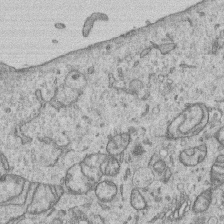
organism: Human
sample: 1205lu cells